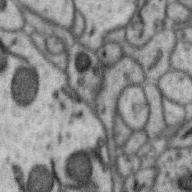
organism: Zebra finch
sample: Brain